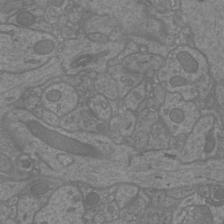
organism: Mouse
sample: Cortical neurons